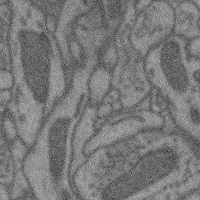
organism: Mouse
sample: Cerebral cortex